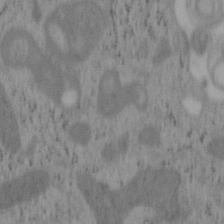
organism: Mouse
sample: OT-I killer T cells with ID8 ovarian cancer cells